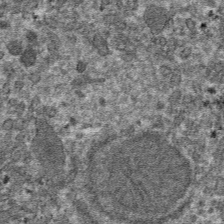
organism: Mouse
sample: Mouse hepatocytes